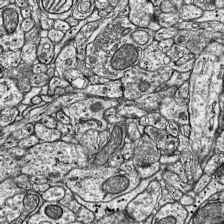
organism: Mouse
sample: Visual Cortex